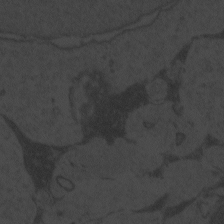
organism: Zebrafish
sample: Macrophage infected with Toxoplasma gondii